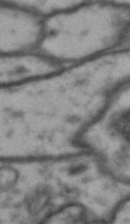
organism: Drosophila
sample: Brain